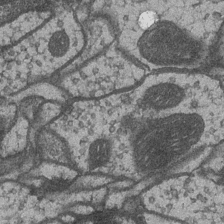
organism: Drosophila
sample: Optic medulla